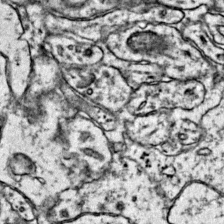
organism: Mouse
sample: Primary visual cortex